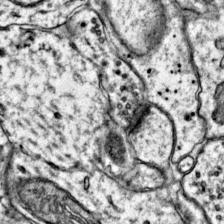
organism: Mouse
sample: Primary visual cortex